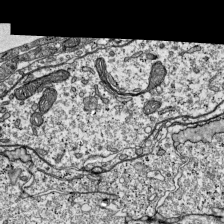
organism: Mouse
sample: Visual Cortex